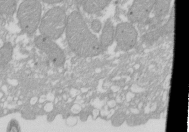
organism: Xenopus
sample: Cilia; centrioles in frog embryo cells